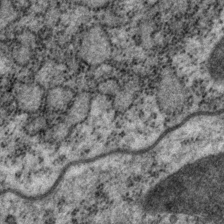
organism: P. pacificus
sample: Pharynx